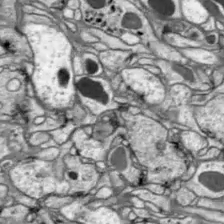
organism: Drosophila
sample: Optic lobe